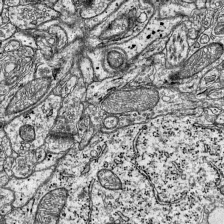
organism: Mouse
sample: Visual Cortex